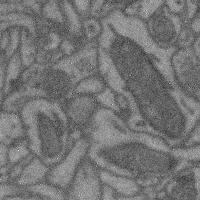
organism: Mouse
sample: Cerebral cortex